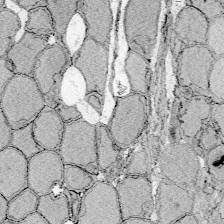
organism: Zebrafish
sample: Whole-Brain